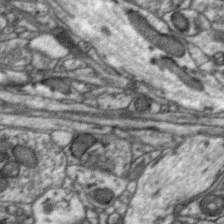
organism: Zebra finch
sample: Brain